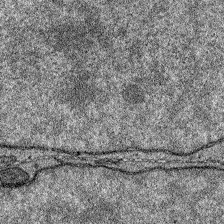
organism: Zebrafish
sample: Larval olfactory bulb